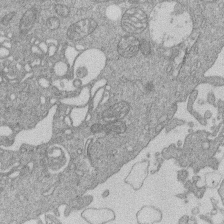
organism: Human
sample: Macrophage cells